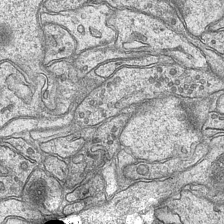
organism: Mouse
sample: CA1 Hippocampus